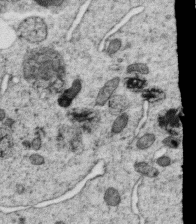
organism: C. elegans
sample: C. elegans oocyte; sperm cells